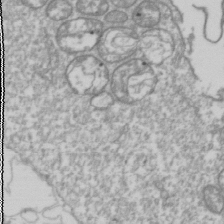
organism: Drosophila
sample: Cell division; meiosis; drosophila spermatocytes